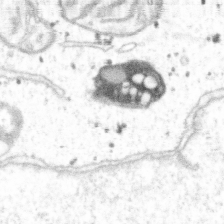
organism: Human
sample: HeLa cells